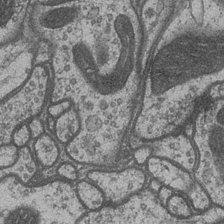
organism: Drosophila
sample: Optic medulla